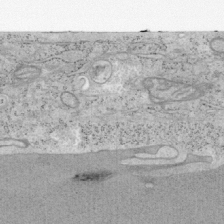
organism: Human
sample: HeLa cells